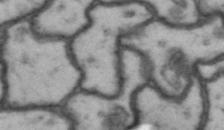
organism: Drosophila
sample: Brain